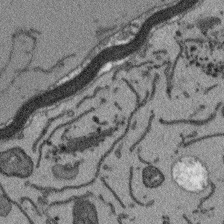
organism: Arabidopsis thaliana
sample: Root tip